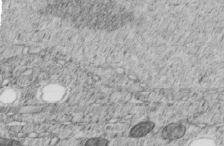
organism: C. elegans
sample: C. elegans embryo early stage